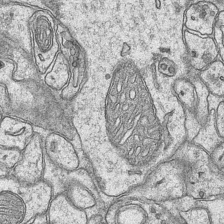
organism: Mouse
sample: CA1 Hippocampus